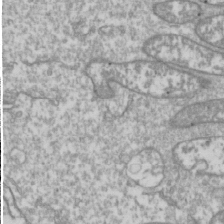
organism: Drosophila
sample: Cell division; meiosis; drosophila spermatocytes